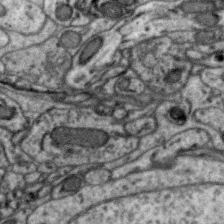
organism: Zebra finch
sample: Brain